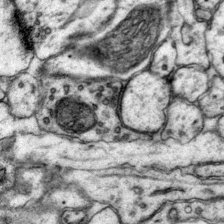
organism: Mouse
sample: Primary visual cortex